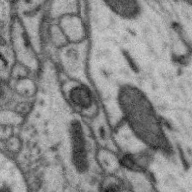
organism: Zebra finch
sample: Brain